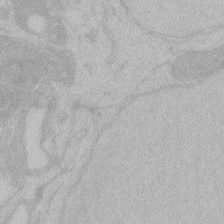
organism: Zebrafish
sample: Macrophage infected with Toxoplasma gondii